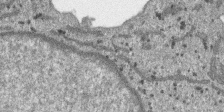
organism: Human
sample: Lung epithelial cells infected with SARS-CoV-2